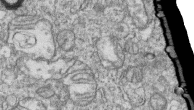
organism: Human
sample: HeLa cell HIV synapse